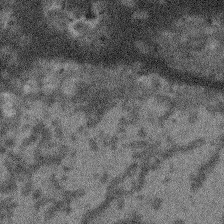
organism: Arabidopsis thaliana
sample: Root tip